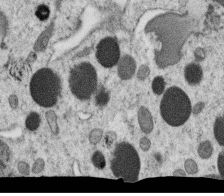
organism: C. elegans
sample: C. elegans oocyte; sperm cells